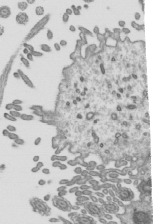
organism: Mouse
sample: Mouse epididymis efferent ductule cilia